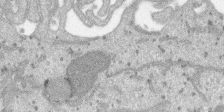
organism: Human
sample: Lung epithelial cells infected with SARS-CoV-2